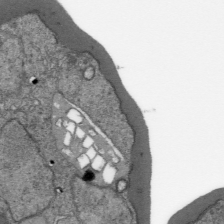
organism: Plasmodium falciparum